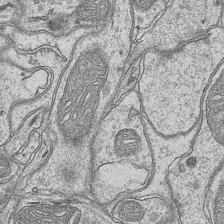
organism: Mouse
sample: CA1 Hippocampus